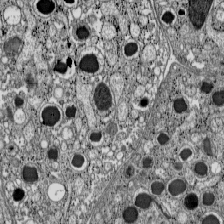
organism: C57BL Mouse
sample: Pancreatic islet